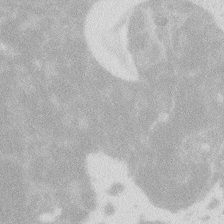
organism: Zebrafish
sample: Macrophage